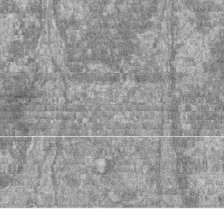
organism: Zebrafish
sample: Cilia; retinal pigment epithelium